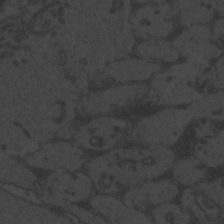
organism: Zebrafish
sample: Macrophage infected with Toxoplasma gondii